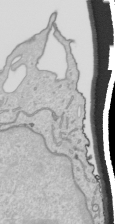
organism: Human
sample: Mitochondria in HCT116 cells